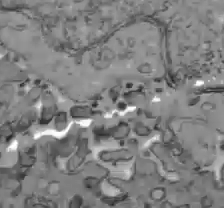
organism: C57BL Mouse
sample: Liver